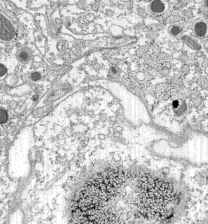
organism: C57BL Mouse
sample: Pancreatic islet